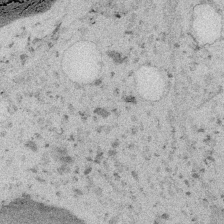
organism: Embia sp.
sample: Silk gland